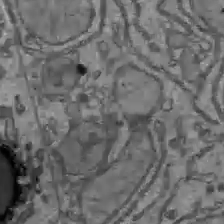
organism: C57BL Mouse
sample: Liver